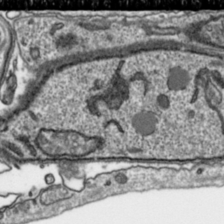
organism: Toxoplasma gondii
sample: Parasites in a vacuole inside a host cell